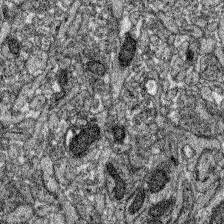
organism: Zebrafish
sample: Larval olfactory bulb